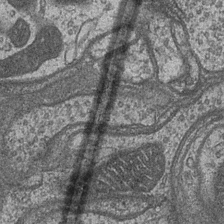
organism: Drosophila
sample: Optic medulla